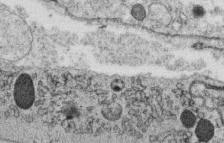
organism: C. elegans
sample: C. elegans oocyte; sperm cells